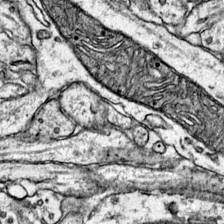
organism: Mouse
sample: Primary visual cortex